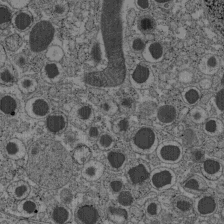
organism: C57BL Mouse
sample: Pancreatic islet